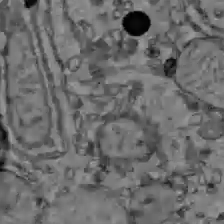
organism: C57BL Mouse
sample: Liver